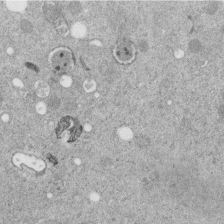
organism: C. elegans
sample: C. elegans embryo early stage